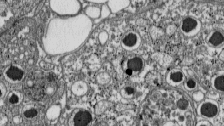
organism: C57BL Mouse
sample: Pancreatic islet